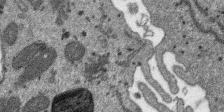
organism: Human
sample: Lung epithelial cells infected with SARS-CoV-2